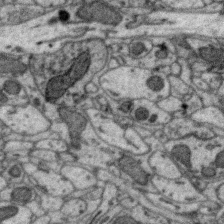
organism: Zebra finch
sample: Brain